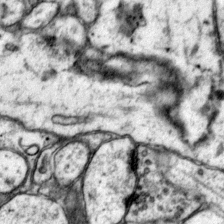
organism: Mouse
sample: Primary visual cortex